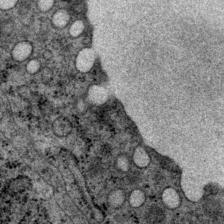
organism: P. pacificus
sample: Pharynx